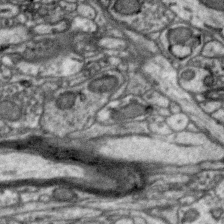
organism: Zebra finch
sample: Brain